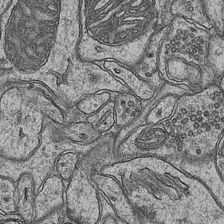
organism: Mouse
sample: CA1 Hippocampus